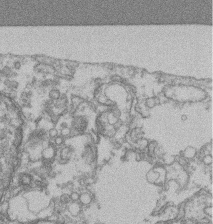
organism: Mouse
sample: T cell stromal cell synapse